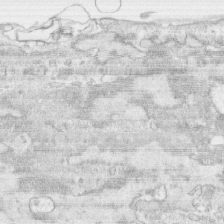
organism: Human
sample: CRL-1474